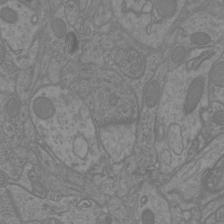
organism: Mouse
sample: Cortical neurons